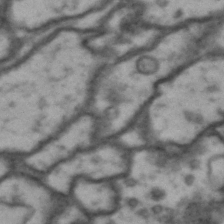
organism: Drosophila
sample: Brain